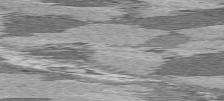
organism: C57BL Mouse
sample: Heart